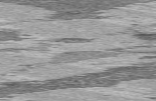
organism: C57BL Mouse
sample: Heart